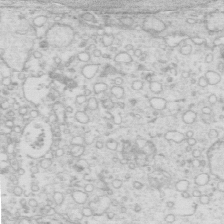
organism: Mouse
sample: Multiciliated cells